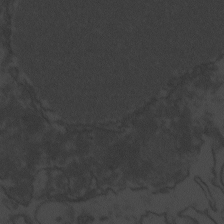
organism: Zebrafish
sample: Macrophage infected with Toxoplasma gondii